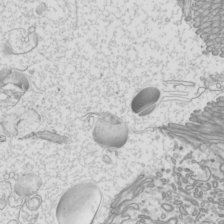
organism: Mouse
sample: Cilia; mouse epididymis